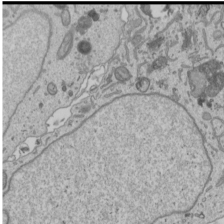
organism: Human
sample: Mitochondria in U2OS cells